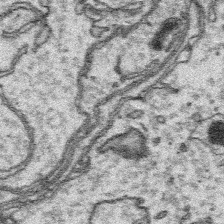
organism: Platynereis dumerilii